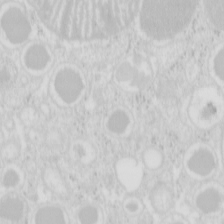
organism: Mouse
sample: Pancreas